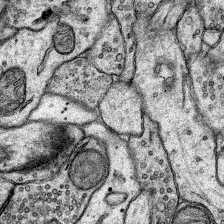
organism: Rat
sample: Hippocampus